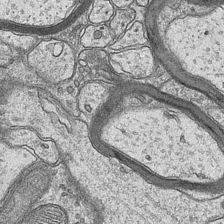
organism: Mouse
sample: CA1 Hippocampus